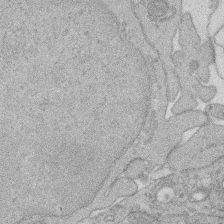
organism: Rat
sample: Salivary granule